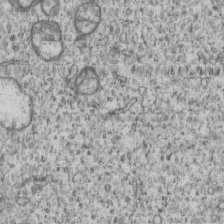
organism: Human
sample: MDA-MB-231 cells